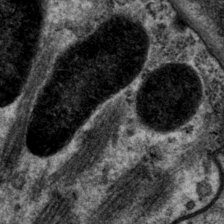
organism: P. pacificus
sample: Pharynx